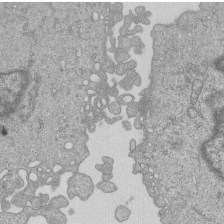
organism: Human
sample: MDA-MB-231 cells